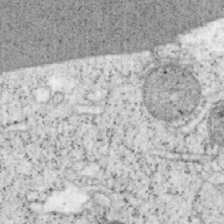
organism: Mouse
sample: OT-I killer T cells with ID8 ovarian cancer cells